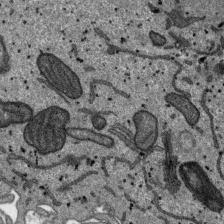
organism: Human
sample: Lung epithelial cells, uninfected (mock) control